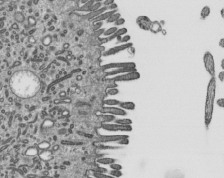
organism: Mouse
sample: Mouse epididymis efferent ductule cilia